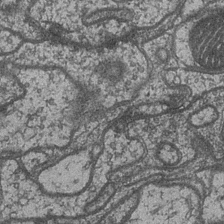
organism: Drosophila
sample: Optic medulla